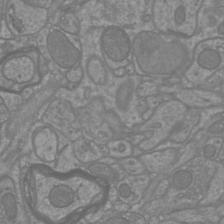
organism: Mouse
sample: Cortical neurons